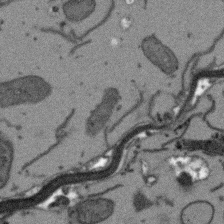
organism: Arabidopsis thaliana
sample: Root tip